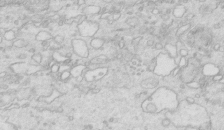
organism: Mouse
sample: Multiciliated cells